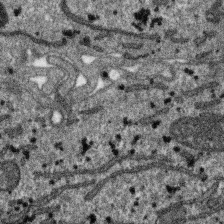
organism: Human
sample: Lung epithelial cells infected with SARS-CoV-2